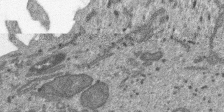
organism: Human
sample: Lung epithelial cells infected with SARS-CoV-2